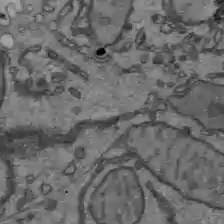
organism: C57BL Mouse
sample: Liver